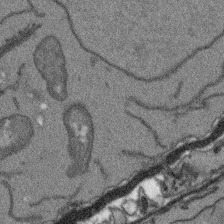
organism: Arabidopsis thaliana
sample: Root tip